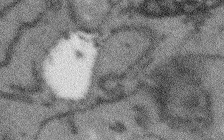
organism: Arabidopsis thaliana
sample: Root tip